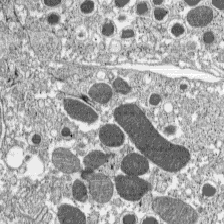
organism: C57BL Mouse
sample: Pancreatic islet